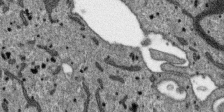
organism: Human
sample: Lung epithelial cells, uninfected (mock) control